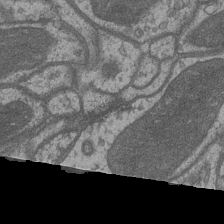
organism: Drosophila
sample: Optic medulla